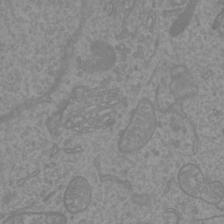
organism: Mouse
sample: Cortical neurons